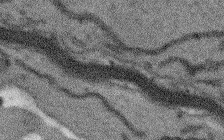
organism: Arabidopsis thaliana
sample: Root tip